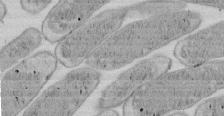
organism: E. coli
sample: Bacterial nucleoid